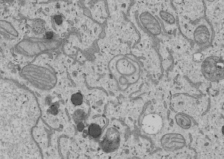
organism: Human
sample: Mitochondria in U2OS cells